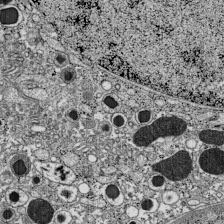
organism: C57BL Mouse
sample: Pancreatic islet